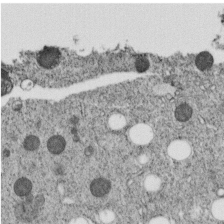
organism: C. elegans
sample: C. elegans embryo early stage